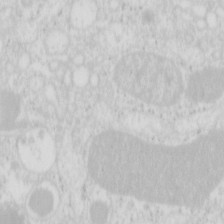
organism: Mouse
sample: Pancreas